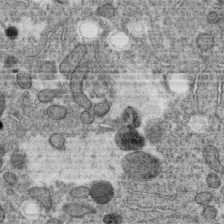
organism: C. elegans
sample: C. elegans oocyte; sperm cells